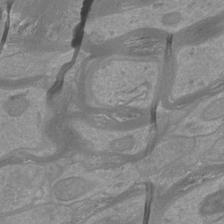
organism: Mouse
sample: Cortical neurons